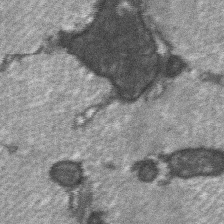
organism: C57BL Mouse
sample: Soleus